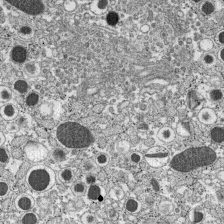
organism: C57BL Mouse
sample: Pancreatic islet